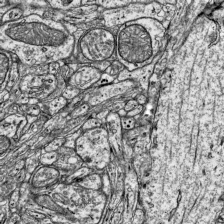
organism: Mouse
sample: Visual Cortex